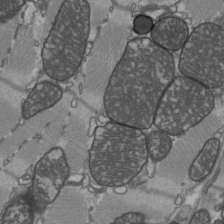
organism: C57BL Mouse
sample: Heart